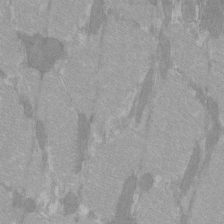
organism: C57BL Mouse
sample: Tibialis anterior muscle cell